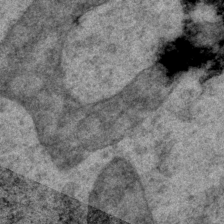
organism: P. pacificus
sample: Pharynx